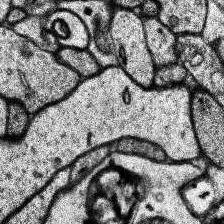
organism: Human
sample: Temporal Lobe